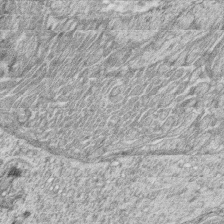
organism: Zebrafish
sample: synaptic ribbons in rod cells and cone cells